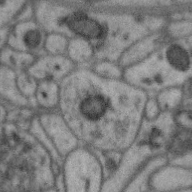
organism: Zebra finch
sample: Brain